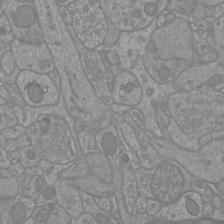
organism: Mouse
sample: Cortical neurons